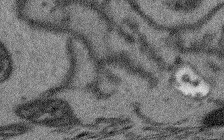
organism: Arabidopsis thaliana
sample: Root tip